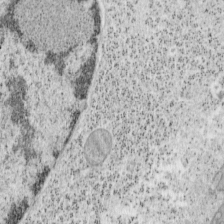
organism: Mouse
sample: OT-I killer T cells with ID8 ovarian cancer cells